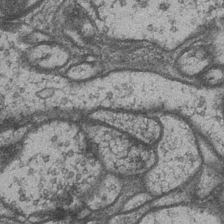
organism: Drosophila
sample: Optic medulla